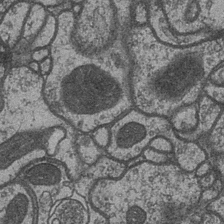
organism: Drosophila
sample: Optic medulla